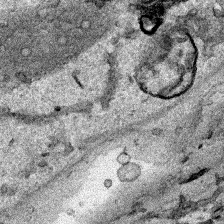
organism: Human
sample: Mitochondria in HCT116 cells